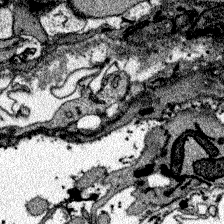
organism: Zebrafish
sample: Larval olfactory bulb